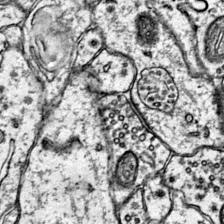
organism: Mouse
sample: Primary visual cortex